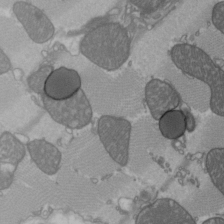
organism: C57BL Mouse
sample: Heart